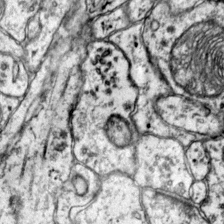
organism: Mouse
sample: Primary visual cortex